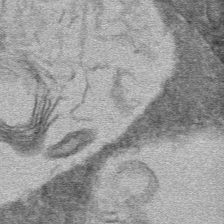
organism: Mouse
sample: Mouse hepatocytes